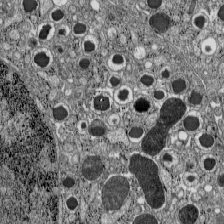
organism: C57BL Mouse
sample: Pancreatic islet